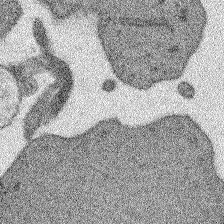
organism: Human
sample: HeLa cells